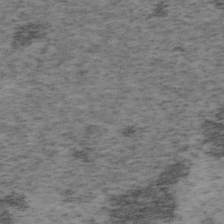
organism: Mouse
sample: OT-I killer T cells with ID8 ovarian cancer cells